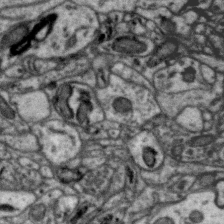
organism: Zebra finch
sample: Brain